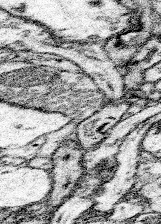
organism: Mouse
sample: Somatosensory cortex neuropil